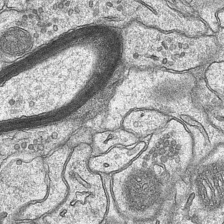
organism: Mouse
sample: CA1 Hippocampus